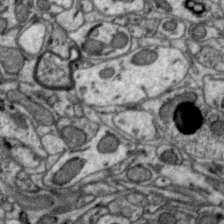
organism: Zebra finch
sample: Brain